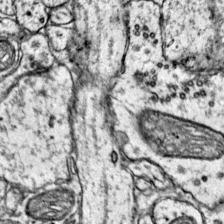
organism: Mouse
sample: Primary visual cortex